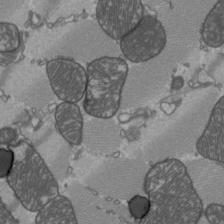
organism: C57BL Mouse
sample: Heart